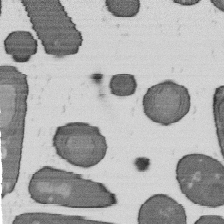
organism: B. subtilis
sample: Bacterial spore